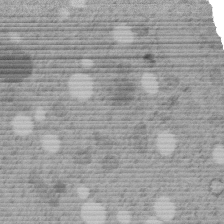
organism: C. elegans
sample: C. elegans embryo early stage